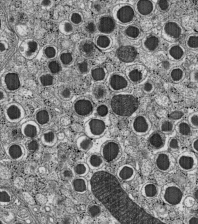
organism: C57BL Mouse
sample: Pancreatic islet